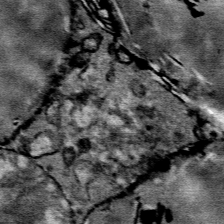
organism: Mouse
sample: Mouse Salivary gland